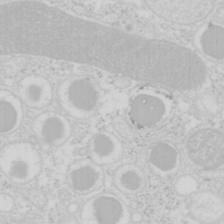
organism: Mouse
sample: Pancreas